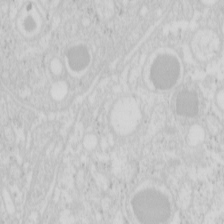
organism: Mouse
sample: Pancreas